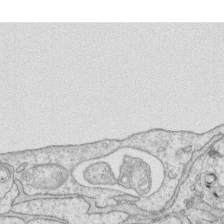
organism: Human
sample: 1205lu cells